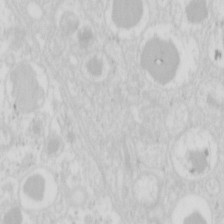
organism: Mouse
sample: Pancreas